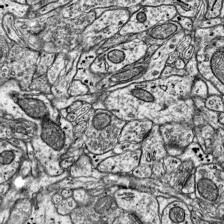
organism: Mouse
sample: Visual Cortex